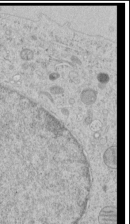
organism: Human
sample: Mitochondria in HCT116 cells